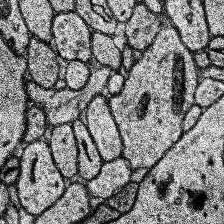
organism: Human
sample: Temporal Lobe